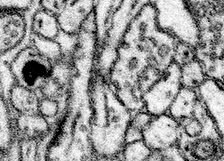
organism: Mouse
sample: Somatosensory cortex neuropil